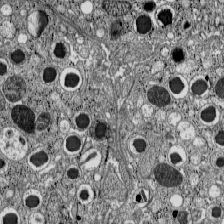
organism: C57BL Mouse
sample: Pancreatic islet